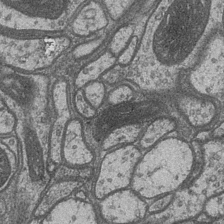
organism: Drosophila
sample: Optic medulla